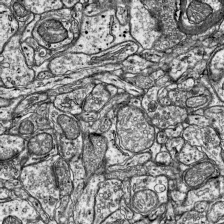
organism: Mouse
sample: Visual Cortex